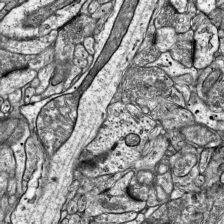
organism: Mouse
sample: Visual Cortex